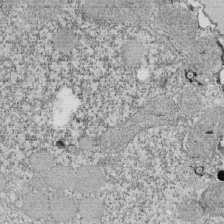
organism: Tetrahymena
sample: Cilia in tetrahymena